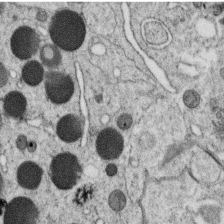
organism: C. elegans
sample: C. elegans oocyte; sperm cells